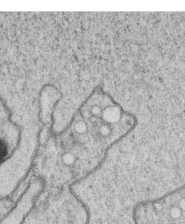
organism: C. elegans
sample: C. elegans oocyte; sperm cells